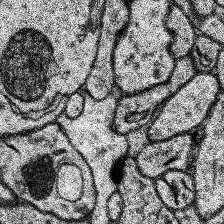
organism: Human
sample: Temporal Lobe